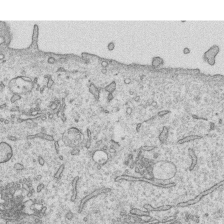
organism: Human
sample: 1205lu cells